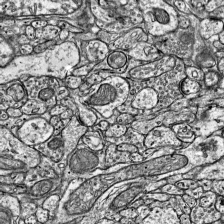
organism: Mouse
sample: Visual Cortex